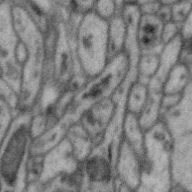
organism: Zebra finch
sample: Brain